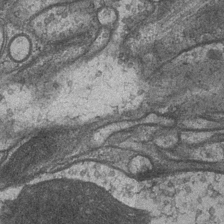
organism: Drosophila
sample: Optic medulla